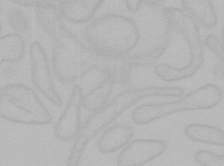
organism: Mouse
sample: Choroid plexus